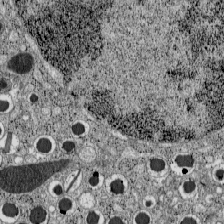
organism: C57BL Mouse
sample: Pancreatic islet